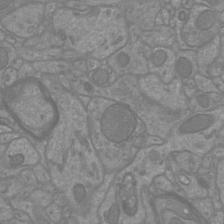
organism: Mouse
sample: Cortical neurons